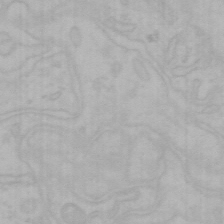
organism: Mouse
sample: Choroid plexus